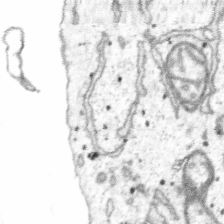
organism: Human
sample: HeLa cells